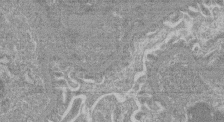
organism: Mouse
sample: Glomerulus